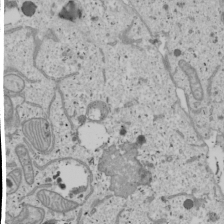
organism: Human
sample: Mitochondria in U2OS cells